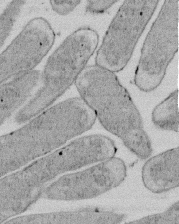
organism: E. coli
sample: Bacterial nucleoid